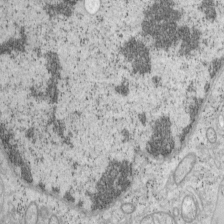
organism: Mouse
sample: OT-I killer T cells with ID8 ovarian cancer cells